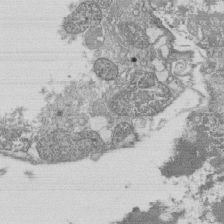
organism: Tetrahymena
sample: Cilia in tetrahymena